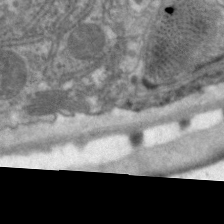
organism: C. elegans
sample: Pharynx